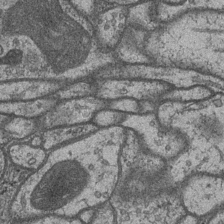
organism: Drosophila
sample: Optic medulla